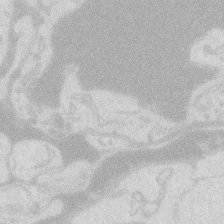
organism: Zebrafish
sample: Macrophage